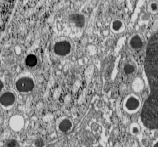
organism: C57BL Mouse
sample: Pancreatic islet